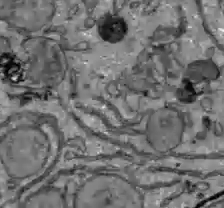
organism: C57BL Mouse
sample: Liver